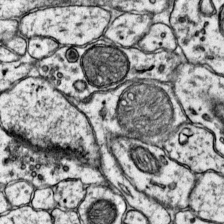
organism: Mouse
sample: Primary visual cortex